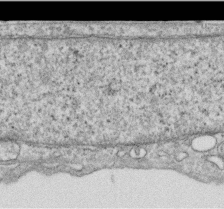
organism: Human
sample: Centriole in RPE cells